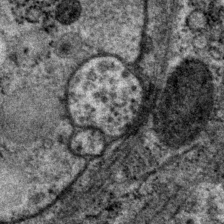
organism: P. pacificus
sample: Pharynx